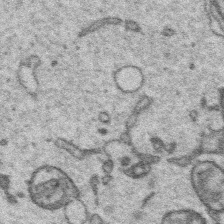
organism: Platynereis dumerilii